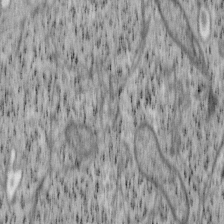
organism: Human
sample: HeLa cells